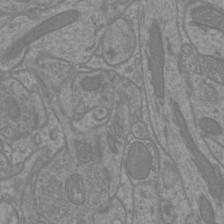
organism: Mouse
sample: Cortical neurons